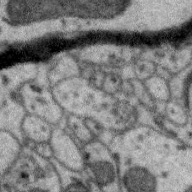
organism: Zebra finch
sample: Brain